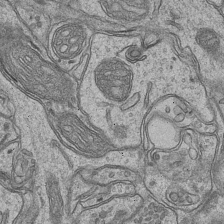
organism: Mouse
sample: CA1 Hippocampus